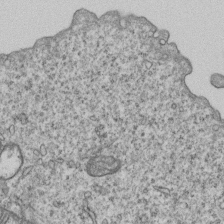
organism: Human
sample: MDA-MB-231 cells